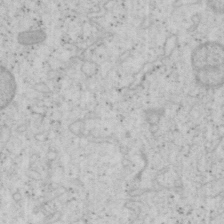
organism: Human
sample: HeLa cells